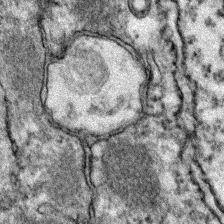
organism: Zebrafish